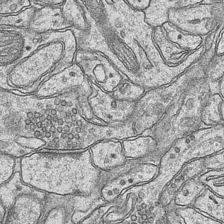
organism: Mouse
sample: CA1 Hippocampus